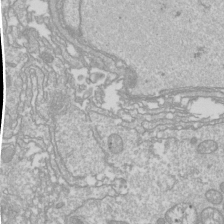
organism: Drosophila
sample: Cell division; meiosis; drosophila spermatocytes